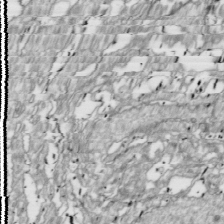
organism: Drosophila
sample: Cell division; meiosis; drosophila spermatocytes